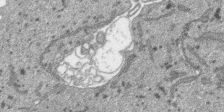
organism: Human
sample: Lung epithelial cells infected with SARS-CoV-2